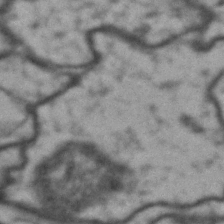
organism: Drosophila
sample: Brain